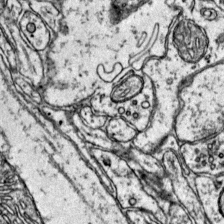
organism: Mouse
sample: Primary visual cortex